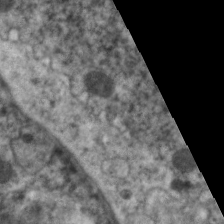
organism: C. elegans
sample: Pharynx